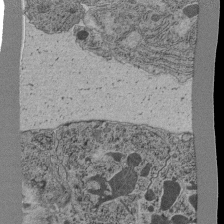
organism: C. elegans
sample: C. elegans pharynx